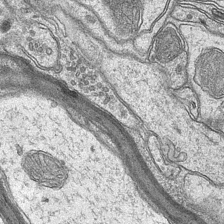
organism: Mouse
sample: CA1 Hippocampus